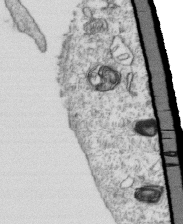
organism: Mouse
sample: Activated OT-1 CD8+ T cells